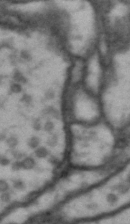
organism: Drosophila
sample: Brain